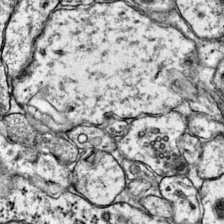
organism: Mouse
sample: Primary visual cortex